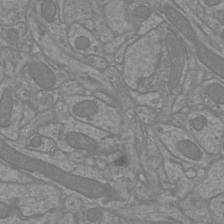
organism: Mouse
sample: Cortical neurons